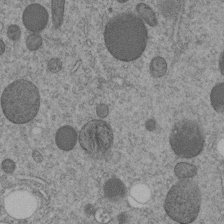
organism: C. elegans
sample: C. elegans embryo early stage